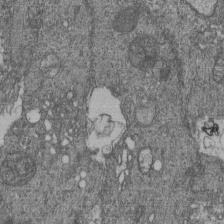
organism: Human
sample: Retinal organoid Rod and Cone cells